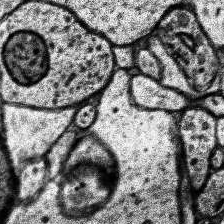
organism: Human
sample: Temporal Lobe